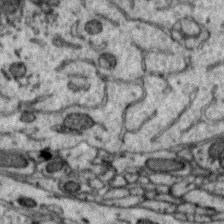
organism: Zebra finch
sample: Brain